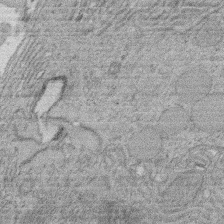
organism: Rat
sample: Salivary granule